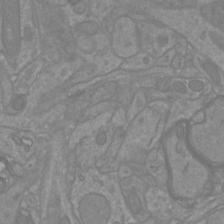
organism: Mouse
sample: Cortical neurons